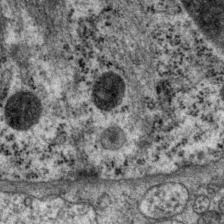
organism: P. pacificus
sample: Pharynx